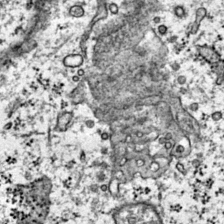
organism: Mouse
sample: Primary visual cortex